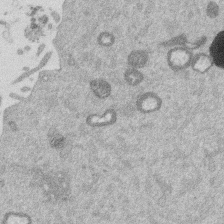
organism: Mouse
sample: Dividing mouse embryo 1 cell stage